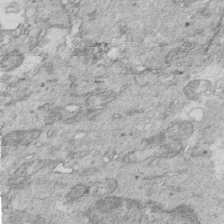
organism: Mouse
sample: Multiciliated cells